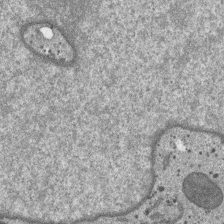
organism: Human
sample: Lung epithelial cells infected with SARS-CoV-2